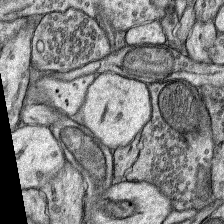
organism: Rat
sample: Hippocampus